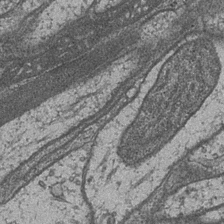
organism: Drosophila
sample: Optic medulla